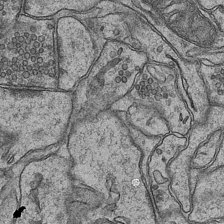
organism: Mouse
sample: CA1 Hippocampus